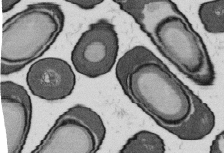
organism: B. subtilis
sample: Bacterial spore